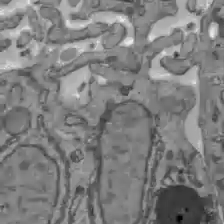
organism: C57BL Mouse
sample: Liver